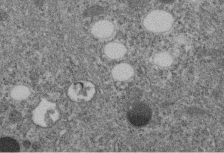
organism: C. elegans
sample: C. elegans embryo early stage